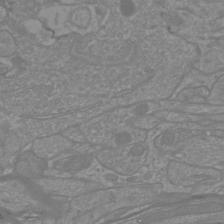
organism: Mouse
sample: Cortical neurons